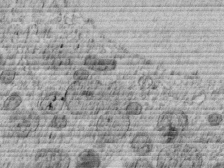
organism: C. elegans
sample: C. elegans embryo early stage